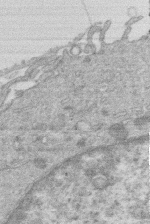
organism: Human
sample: Macrophage cells